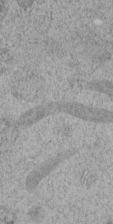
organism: C. elegans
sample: C. elegans embryo early stage